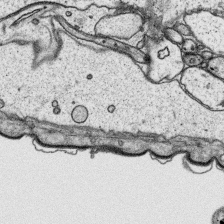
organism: Platynereis dumerilii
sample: Parapodia